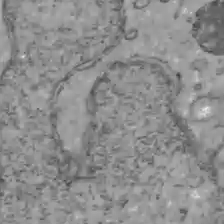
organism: C57BL Mouse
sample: Liver